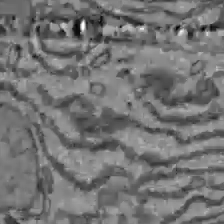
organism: C57BL Mouse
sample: Liver